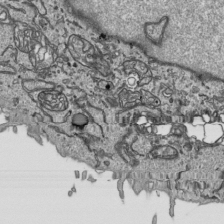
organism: Human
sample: Mitochondria in HCT116 cells